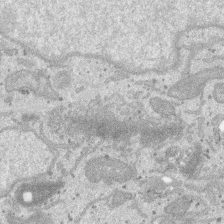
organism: Human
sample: Lung epithelial cells infected with SARS-CoV-2